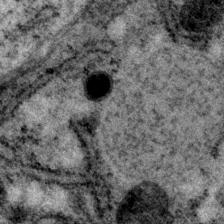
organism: P. pacificus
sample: Pharynx